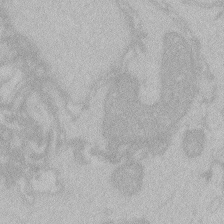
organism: Zebrafish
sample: Macrophage infected with Toxoplasma gondii